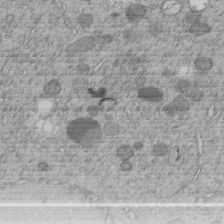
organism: C. elegans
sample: C. elegans embryo early stage